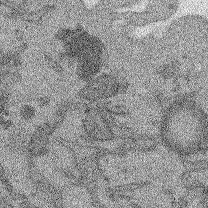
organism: Human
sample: HeLa cells